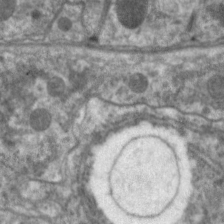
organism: C. elegans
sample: Pharynx